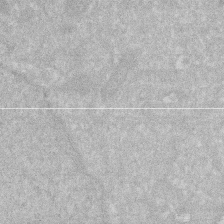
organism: Human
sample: HIV infected U937 cells